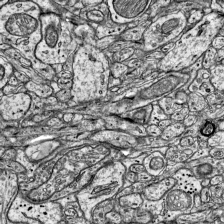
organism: Mouse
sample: Visual Cortex